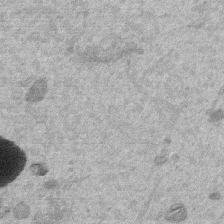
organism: Mouse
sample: Dividing mouse embryo 1 cell stage